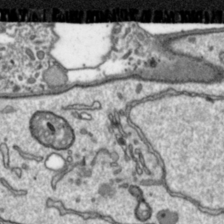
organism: Toxoplasma gondii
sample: Parasites in a vacuole inside a host cell